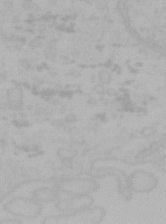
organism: Mouse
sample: Choroid plexus